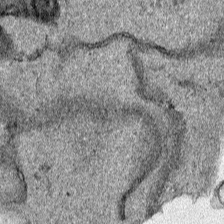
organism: Human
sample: Mitochondria in HCT116 cells